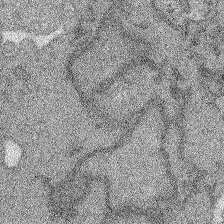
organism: Human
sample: HeLa cells